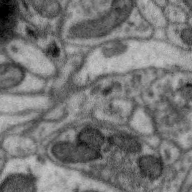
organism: Zebra finch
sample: Brain